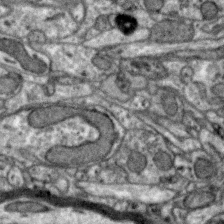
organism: Zebra finch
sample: Brain